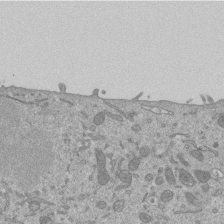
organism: Mouse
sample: ED-1 cell nuclei; centrioles